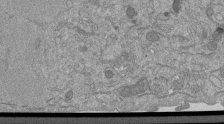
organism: Mouse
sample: ED-1 cell nuclei; centrioles